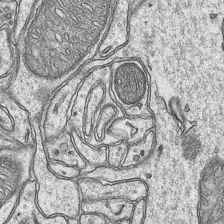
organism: Mouse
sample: CA1 Hippocampus